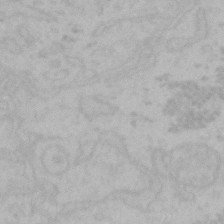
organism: Mouse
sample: Choroid plexus